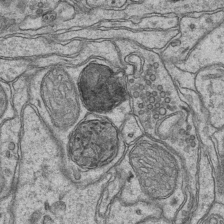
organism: Mouse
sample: CA1 Hippocampus